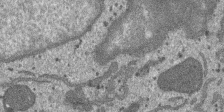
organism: Human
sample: Lung epithelial cells infected with SARS-CoV-2